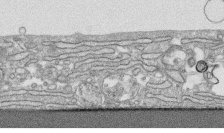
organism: Human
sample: CRL-1474